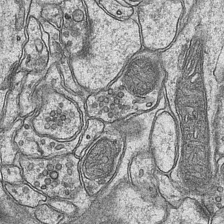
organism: Mouse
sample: CA1 Hippocampus